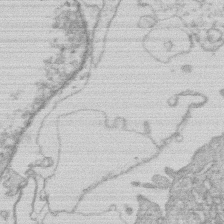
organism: Human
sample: Macrophage cells